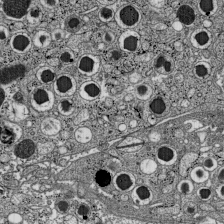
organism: C57BL Mouse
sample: Pancreatic islet